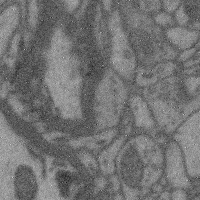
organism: Mouse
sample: Cerebral cortex